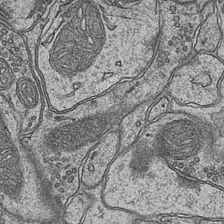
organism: Mouse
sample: CA1 Hippocampus